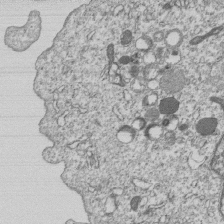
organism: Human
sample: MDA-MB-231 cells